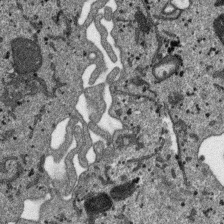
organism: Human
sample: Lung epithelial cells infected with SARS-CoV-2